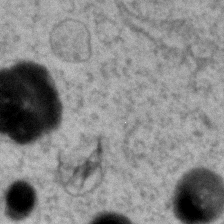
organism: Zebrafish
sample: Zebrafish embryo